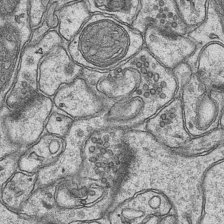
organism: Mouse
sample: CA1 Hippocampus